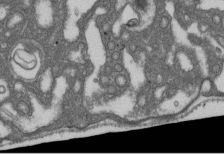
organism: Drosophila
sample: Nephrocyte